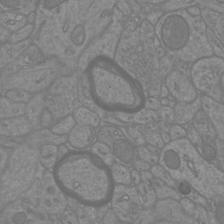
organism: Mouse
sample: Cortical neurons